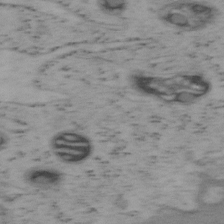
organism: Mouse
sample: OT-I killer T cells with ID8 ovarian cancer cells